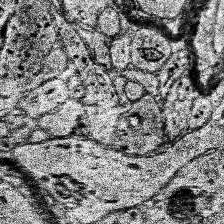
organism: Human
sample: Temporal Lobe